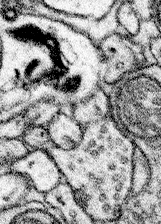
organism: Mouse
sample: Somatosensory cortex neuropil